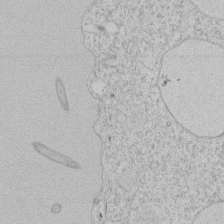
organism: Tetrahymena